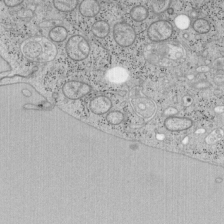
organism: Mouse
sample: OT-I killer T cells with ID8 ovarian cancer cells